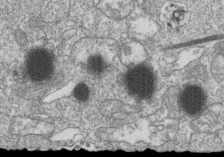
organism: Human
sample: HeLa cell HIV synapse